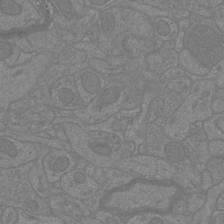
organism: Mouse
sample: Cortical neurons